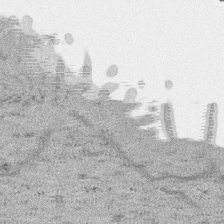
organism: Human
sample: Lung epithelial cells infected with SARS-CoV-2